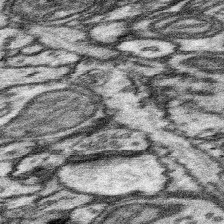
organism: Mouse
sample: Somatosensory cortex neuropil